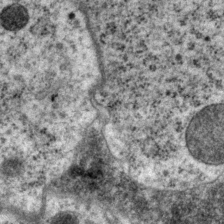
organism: P. pacificus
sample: Pharynx